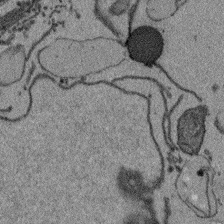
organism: Arabidopsis thaliana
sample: Root tip